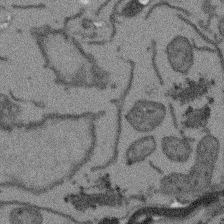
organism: Arabidopsis thaliana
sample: Root tip